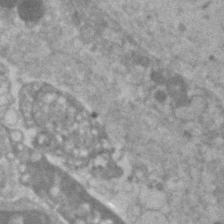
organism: Human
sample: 1205lu cells